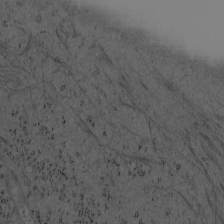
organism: Mouse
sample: OT-I killer T cells with ID8 ovarian cancer cells